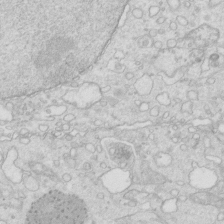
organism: Mouse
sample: Multiciliated cells